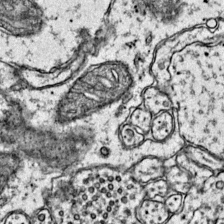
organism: Mouse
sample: Primary visual cortex